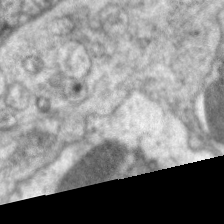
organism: C. elegans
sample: Pharynx